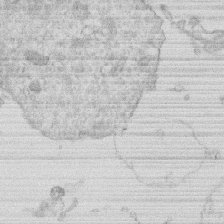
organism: Human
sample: Macrophage cells